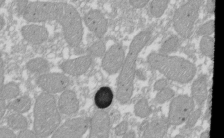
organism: Xenopus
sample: Cilia; centrioles in frog embryo cells